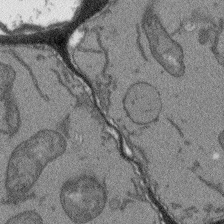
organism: Arabidopsis thaliana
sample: Root tip